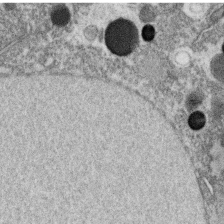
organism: C. elegans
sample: C. elegans oocyte; sperm cells